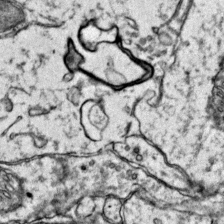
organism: Mouse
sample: Primary visual cortex